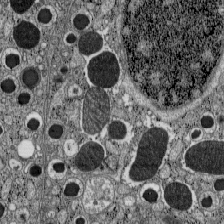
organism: C57BL Mouse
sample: Pancreatic islet